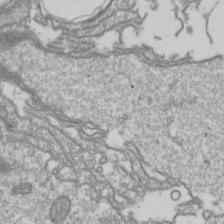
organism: Drosophila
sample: Cell division; meiosis; drosophila spermatocytes